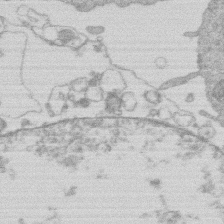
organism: Human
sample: Macrophage cells